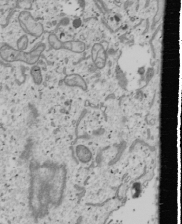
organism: Human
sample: Mitochondria in U2OS cells